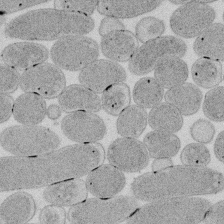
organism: E. coli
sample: Bacterial nucleoid